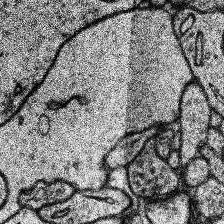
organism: Human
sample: Temporal Lobe